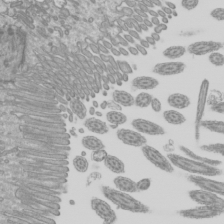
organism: Mouse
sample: Cilia; mouse epididymis